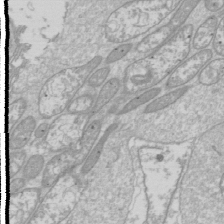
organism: Drosophila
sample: Cell division; meiosis; drosophila spermatocytes